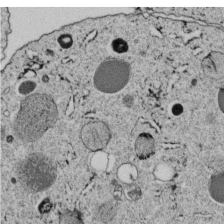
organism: C. elegans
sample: C. elegans embryo early stage